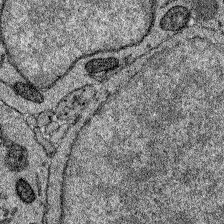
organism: Zebrafish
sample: Larval olfactory bulb